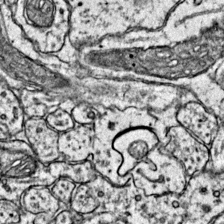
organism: Mouse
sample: Primary visual cortex